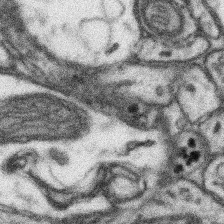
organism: Mouse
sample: Somatosensory cortex neuropil